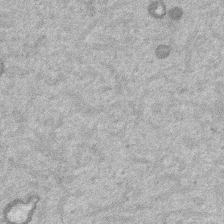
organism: Mouse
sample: Dividing mouse embryo 1 cell stage